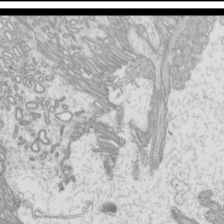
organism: Mouse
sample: Cilia; mouse epididymis